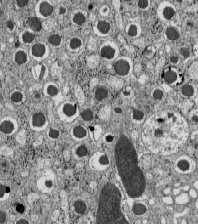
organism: C57BL Mouse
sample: Pancreatic islet